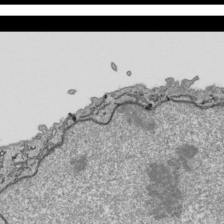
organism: Human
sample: Mitochondria in HCT116 cells